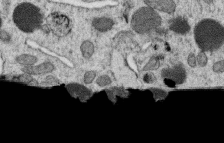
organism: C. elegans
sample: C. elegans oocyte; sperm cells